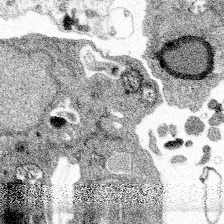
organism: Spongilla lacustris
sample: Multiple